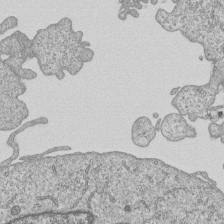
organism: Human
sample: MDA-MB-231 cells